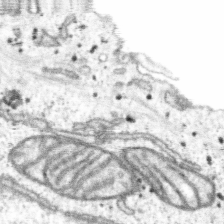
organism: Human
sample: HeLa cells